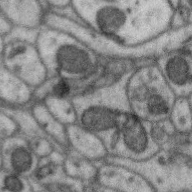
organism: Zebra finch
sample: Brain